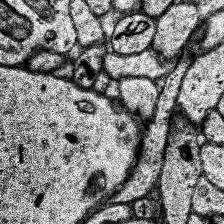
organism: Human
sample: Temporal Lobe